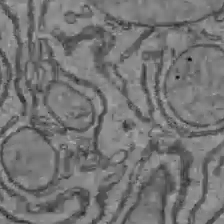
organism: C57BL Mouse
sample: Liver